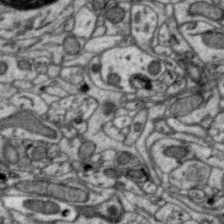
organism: Zebra finch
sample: Brain